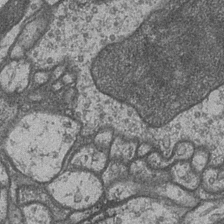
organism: Drosophila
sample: Optic medulla